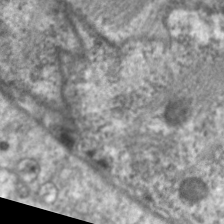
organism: C. elegans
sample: Pharynx